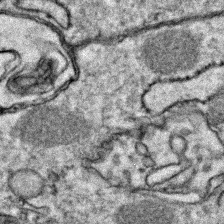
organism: Zebrafish